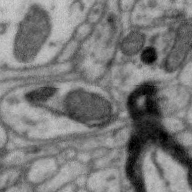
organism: Zebra finch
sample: Brain